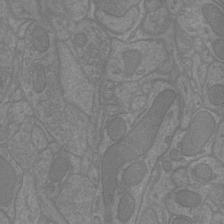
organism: Mouse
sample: Cortical neurons